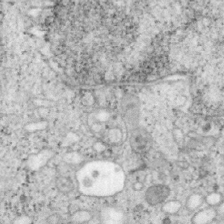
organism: Mouse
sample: OT-I killer T cells with ID8 ovarian cancer cells